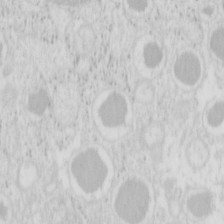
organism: Mouse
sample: Pancreas